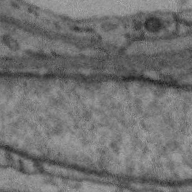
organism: Zebra finch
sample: Brain